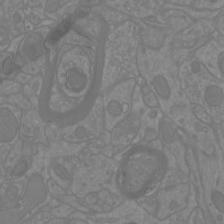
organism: Mouse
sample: Cortical neurons